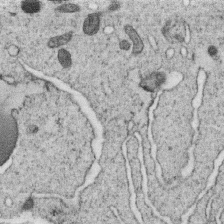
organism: C. elegans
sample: C. elegans oocyte; sperm cells